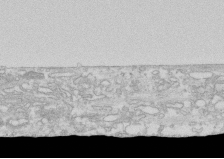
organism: Human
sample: CRL-1474